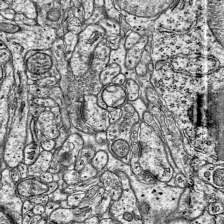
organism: Mouse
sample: Visual Cortex